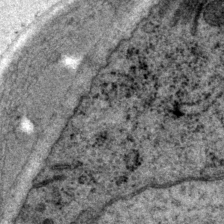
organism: P. pacificus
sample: Pharynx